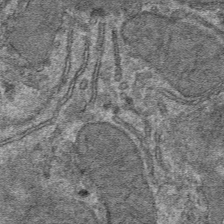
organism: Mouse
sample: Mouse hepatocytes